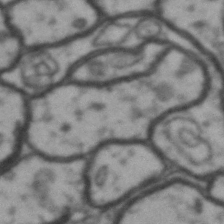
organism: Drosophila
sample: Brain